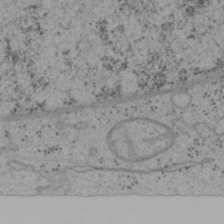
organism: Human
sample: HeLa cells